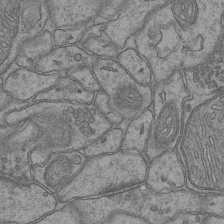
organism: Mouse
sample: CA1 Hippocampus